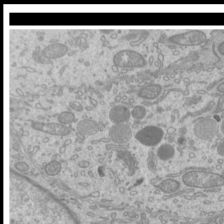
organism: Mouse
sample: Cilia; mouse epididymis